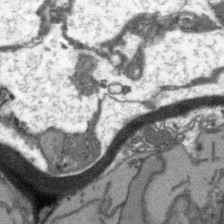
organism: Arabidopsis thaliana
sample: Root tip